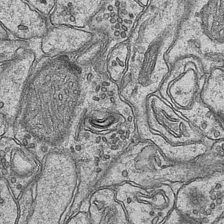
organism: Mouse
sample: CA1 Hippocampus